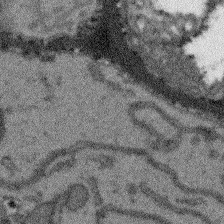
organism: Arabidopsis thaliana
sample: Root tip